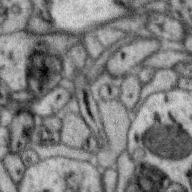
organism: Zebra finch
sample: Brain